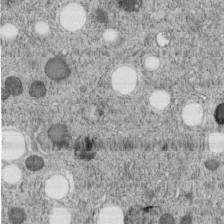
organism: C. elegans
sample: C. elegans embryo early stage